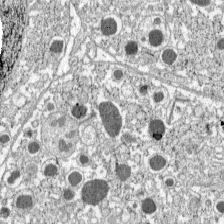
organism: C57BL Mouse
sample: Pancreatic islet